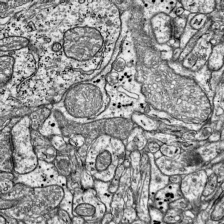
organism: Mouse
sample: Visual Cortex